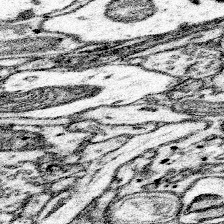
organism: Mouse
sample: Somatosensory cortex neuropil